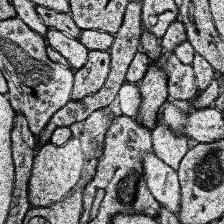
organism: Human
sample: Temporal Lobe